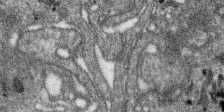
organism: Human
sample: Lung epithelial cells infected with SARS-CoV-2